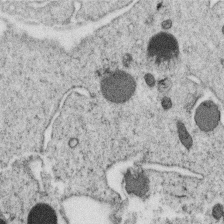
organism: C. elegans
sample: C. elegans oocyte; sperm cells